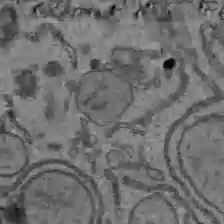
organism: C57BL Mouse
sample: Liver